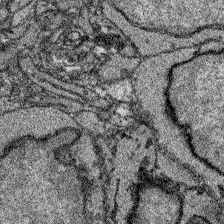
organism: Zebrafish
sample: Larval olfactory bulb